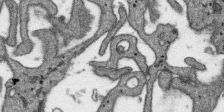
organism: Human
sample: Lung epithelial cells, uninfected (mock) control